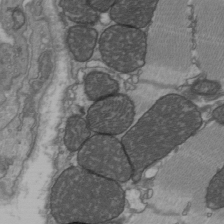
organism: C57BL Mouse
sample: Heart